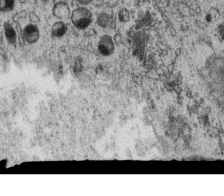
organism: C. elegans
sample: C. elegans oocyte; sperm cells